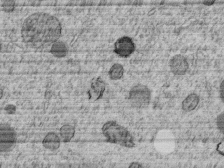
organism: C. elegans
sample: C. elegans embryo early stage